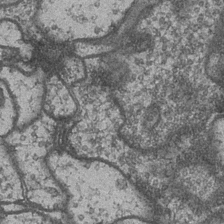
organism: Drosophila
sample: Optic medulla